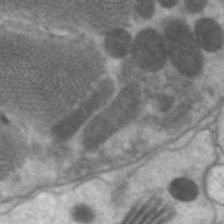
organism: C. elegans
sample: Pharynx